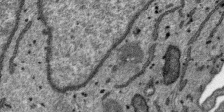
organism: Human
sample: Lung epithelial cells, uninfected (mock) control